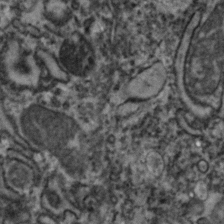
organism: Zebrafish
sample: Zebrafish embryo